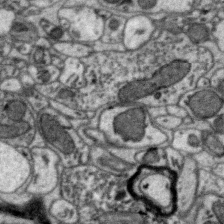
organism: Zebra finch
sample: Brain